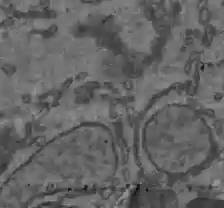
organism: C57BL Mouse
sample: Liver